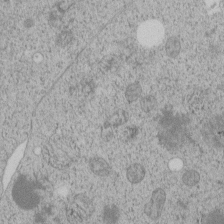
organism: C. elegans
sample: C. elegans embryo early stage